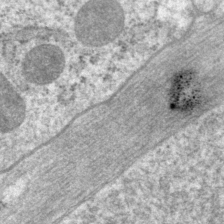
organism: P. pacificus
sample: Pharynx